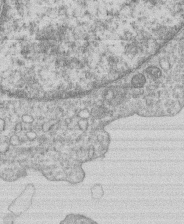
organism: Human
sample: Macrophage cells